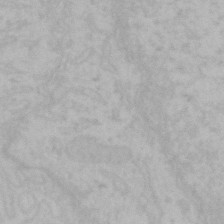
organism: Mouse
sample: Choroid plexus